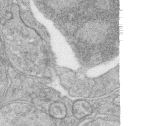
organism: Zebrafish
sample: synaptic ribbons in rod cells and cone cells